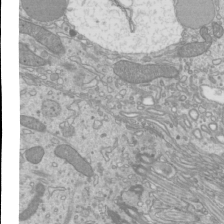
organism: Mouse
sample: Cilia; mouse epididymis